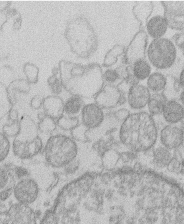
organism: Human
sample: Macrophage cells